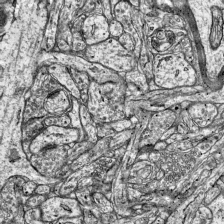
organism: Mouse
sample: Visual Cortex